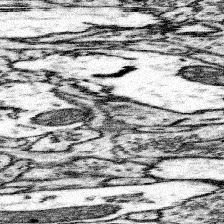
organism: Mouse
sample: Somatosensory cortex neuropil